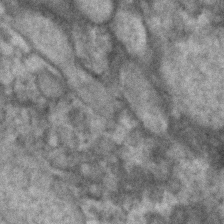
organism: Human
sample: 1205lu cells